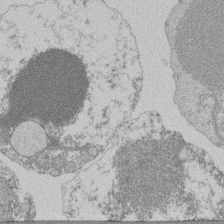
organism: Mouse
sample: Activated Pmel transgenic CD8+ T Cells